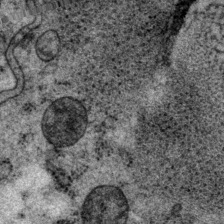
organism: P. pacificus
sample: Pharynx